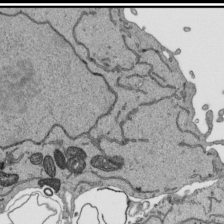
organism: Human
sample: Mitochondria in HCT116 cells